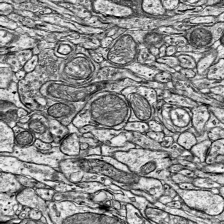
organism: Mouse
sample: Visual Cortex